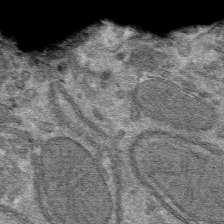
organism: Mouse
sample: Mouse hepatocytes